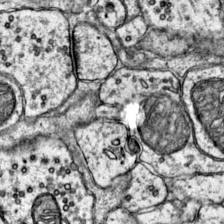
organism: Mouse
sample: Primary visual cortex